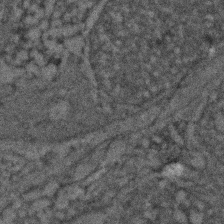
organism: Zebrafish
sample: Zebrafish embryo